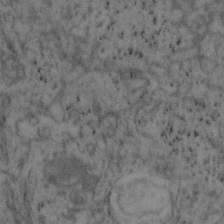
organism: Human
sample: HeLa cells